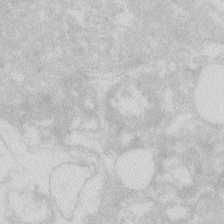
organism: Zebrafish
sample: Macrophage